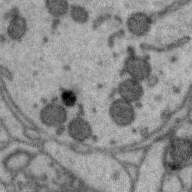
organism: Zebra finch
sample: Brain